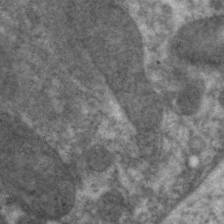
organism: C. elegans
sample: Pharynx